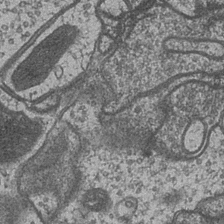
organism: Drosophila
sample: Optic medulla